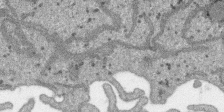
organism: Human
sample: Lung epithelial cells infected with SARS-CoV-2